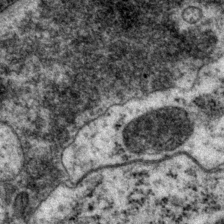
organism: P. pacificus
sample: Pharynx